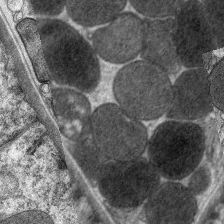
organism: C. elegans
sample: Pharynx